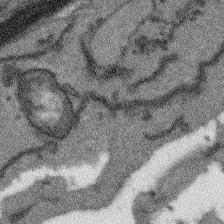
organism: Arabidopsis thaliana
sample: Root tip